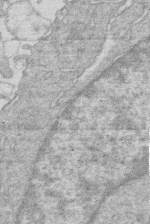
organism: Human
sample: Macrophage cells